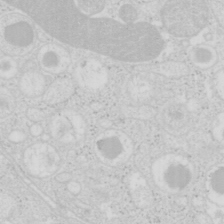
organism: Mouse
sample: Pancreas